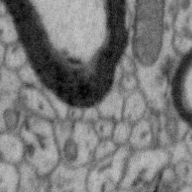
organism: Zebra finch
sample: Brain